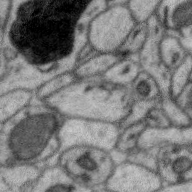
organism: Zebra finch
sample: Brain